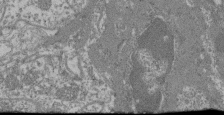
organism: Mouse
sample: Glomerulus